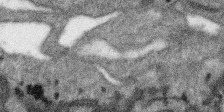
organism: Human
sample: Lung epithelial cells infected with SARS-CoV-2